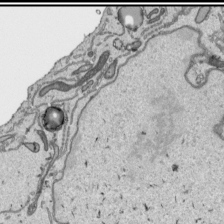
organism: Human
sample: Mitochondria in HCT116 cells